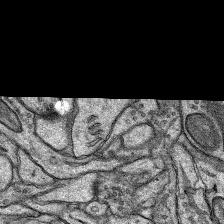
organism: Rat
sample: Hippocampus